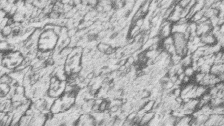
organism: Zebrafish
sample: synaptic ribbons in rod cells and cone cells